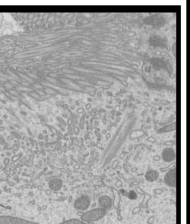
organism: Mouse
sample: Cilia; mouse epididymis